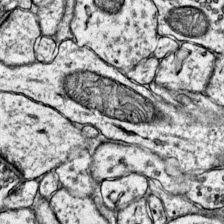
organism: Mouse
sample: Primary visual cortex